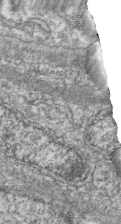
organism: Zebrafish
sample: Cilia; retinal pigment epithelium